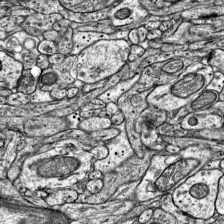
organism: Mouse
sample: Visual Cortex